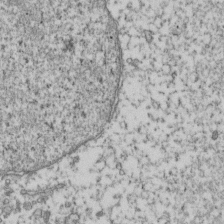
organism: Human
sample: Activated Jurkat CD4+ T cells